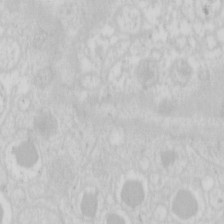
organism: Mouse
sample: Pancreas